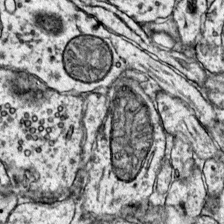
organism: Mouse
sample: Primary visual cortex